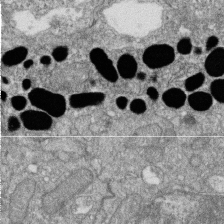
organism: Zebrafish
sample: Cilia; retinal pigment epithelium